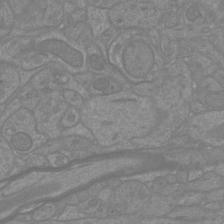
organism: Mouse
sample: Cortical neurons